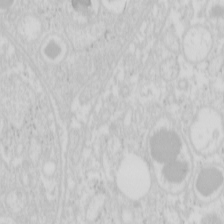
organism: Mouse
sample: Pancreas